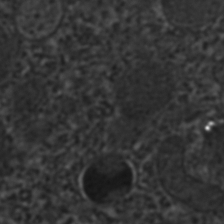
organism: C. elegans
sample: C. elegans embryo